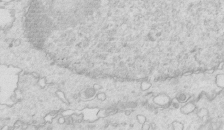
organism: Mouse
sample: Multiciliated cells